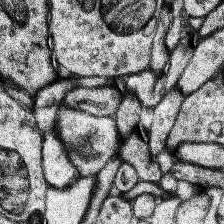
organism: Human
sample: Temporal Lobe